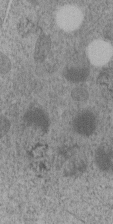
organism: C. elegans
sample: C. elegans embryo early stage